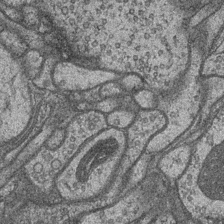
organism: Drosophila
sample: Optic medulla